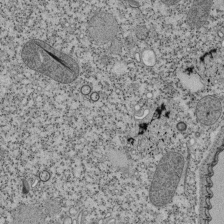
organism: Tetrahymena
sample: Cilia in tetrahymena